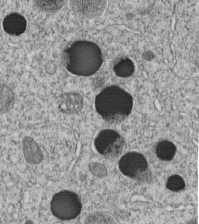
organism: C. elegans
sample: C. elegans embryo early stage